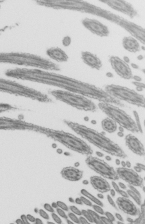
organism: Mouse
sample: Mouse epididymis efferent ductule cilia